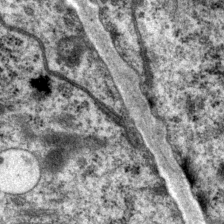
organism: P. pacificus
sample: Pharynx